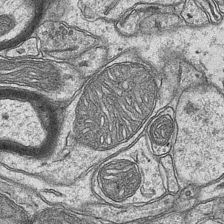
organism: Mouse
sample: CA1 Hippocampus